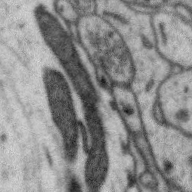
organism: Zebra finch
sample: Brain